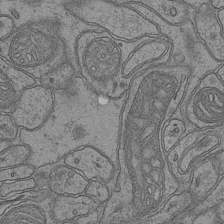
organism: Mouse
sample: CA1 Hippocampus